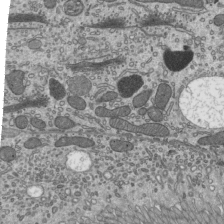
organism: Mouse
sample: Mouse epididymis efferent ductule cilia